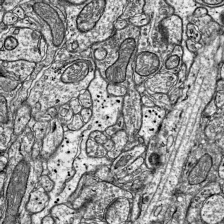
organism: Mouse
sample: Visual Cortex